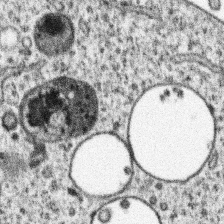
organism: Human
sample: HeLa cells